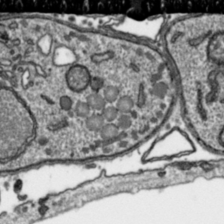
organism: Toxoplasma gondii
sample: Parasites in a vacuole inside a host cell